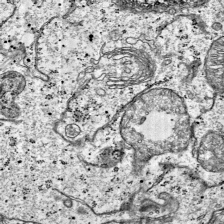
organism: Mouse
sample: Visual Cortex